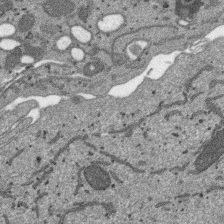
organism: Human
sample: Lung epithelial cells infected with SARS-CoV-2